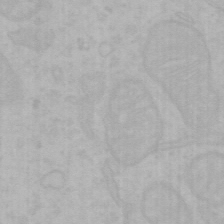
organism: Mouse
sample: Choroid plexus